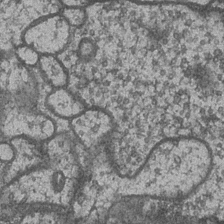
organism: Drosophila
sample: Optic medulla